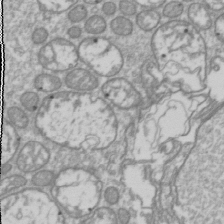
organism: Drosophila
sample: Cell division; meiosis; drosophila spermatocytes